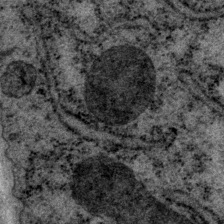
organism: P. pacificus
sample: Pharynx